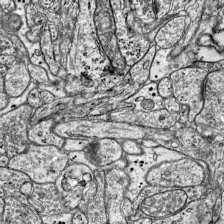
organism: Mouse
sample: Visual Cortex